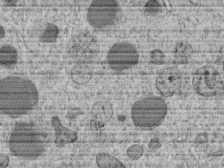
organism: C. elegans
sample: C. elegans embryo early stage